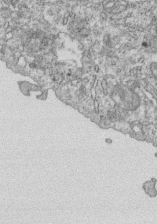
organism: Human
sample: HeLa cell HIV synapse